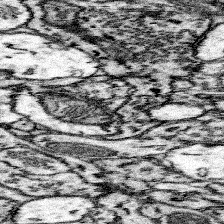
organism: Mouse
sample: Somatosensory cortex neuropil